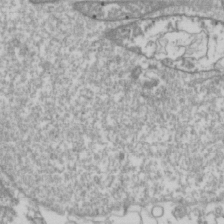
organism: Drosophila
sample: Cell division; meiosis; drosophila spermatocytes